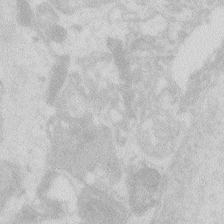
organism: Zebrafish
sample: Macrophage